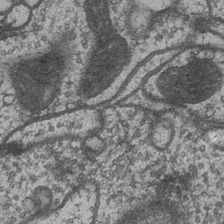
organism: Drosophila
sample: Optic medulla